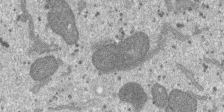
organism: Human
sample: Lung epithelial cells infected with SARS-CoV-2